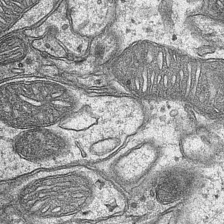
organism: Mouse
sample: CA1 Hippocampus